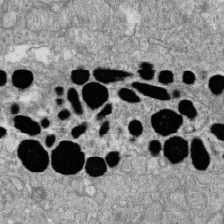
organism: Zebrafish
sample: Cilia; retinal pigment epithelium